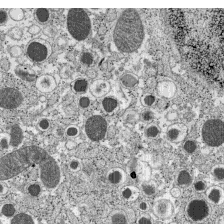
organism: C57BL Mouse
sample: Pancreatic islet